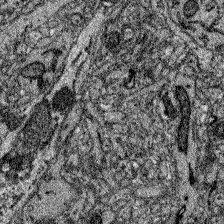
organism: Zebrafish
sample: Larval olfactory bulb